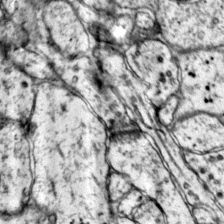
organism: Mouse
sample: Primary visual cortex